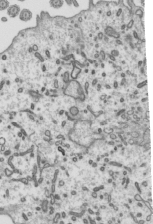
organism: Mouse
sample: Mouse epididymis efferent ductule cilia